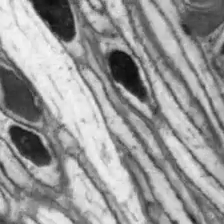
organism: Drosophila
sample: Optic lobe